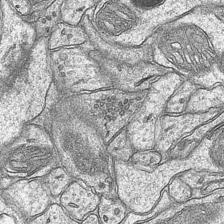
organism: Mouse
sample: CA1 Hippocampus